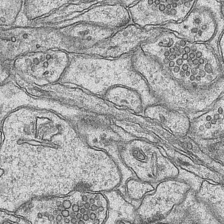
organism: Mouse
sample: CA1 Hippocampus